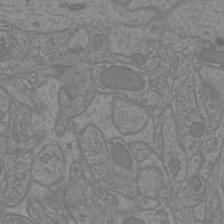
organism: Mouse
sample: Cortical neurons